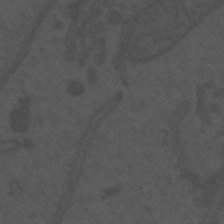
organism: Mouse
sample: Suprachiasmatic nucleus